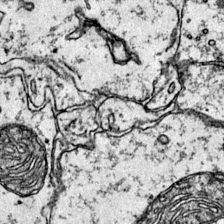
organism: Mouse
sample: Primary visual cortex